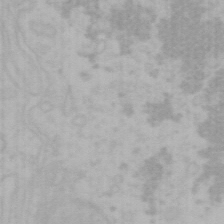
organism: Mouse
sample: Choroid plexus